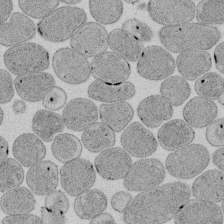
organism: E. coli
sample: Bacterial nucleoid